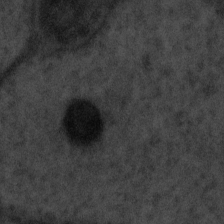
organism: Tuwongella immobilis